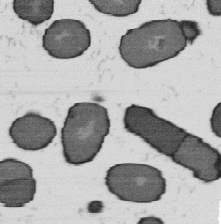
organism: B. subtilis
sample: Bacterial spore